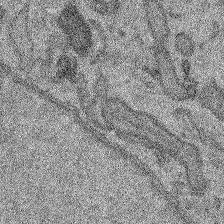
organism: Human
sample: HeLa cells